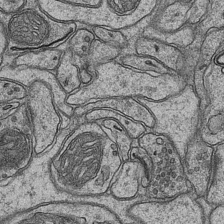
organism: Mouse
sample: CA1 Hippocampus